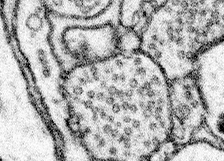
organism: Mouse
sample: Somatosensory cortex neuropil